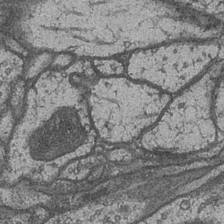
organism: Drosophila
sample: Optic medulla